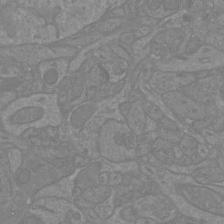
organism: Mouse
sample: Cortical neurons